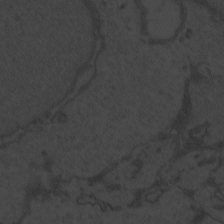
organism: Zebrafish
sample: Macrophage infected with Toxoplasma gondii